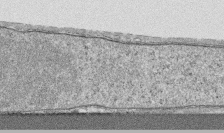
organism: Human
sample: CRL-1474